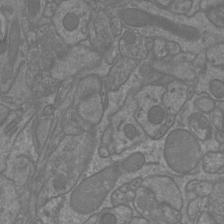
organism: Mouse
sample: Cortical neurons